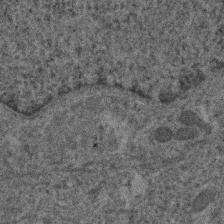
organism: Human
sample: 1205lu cells